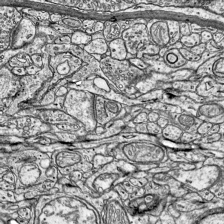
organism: Mouse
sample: Visual Cortex